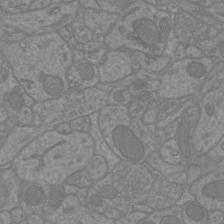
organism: Mouse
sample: Cortical neurons